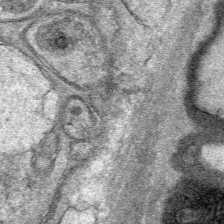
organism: Mouse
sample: Mouse Salivary gland